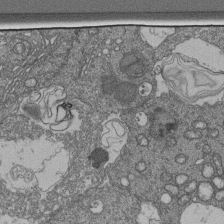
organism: Human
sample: Retinal organoid Rod and Cone cells